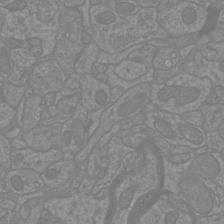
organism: Mouse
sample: Cortical neurons